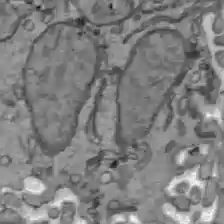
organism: C57BL Mouse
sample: Liver